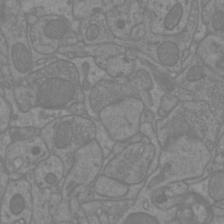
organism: Mouse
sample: Cortical neurons